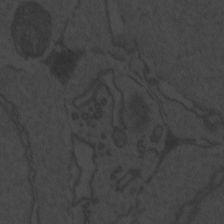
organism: Zebrafish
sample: Macrophage infected with Toxoplasma gondii